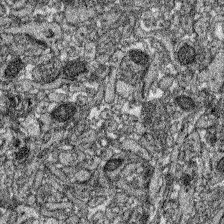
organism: Zebrafish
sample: Larval olfactory bulb